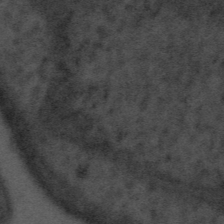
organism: Tuwongella immobilis